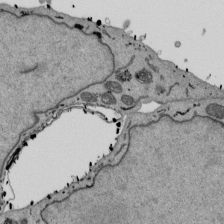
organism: Mouse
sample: ED-1 cell nuclei; centrioles